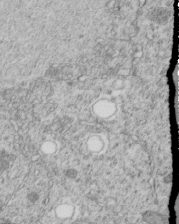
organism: C. elegans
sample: C. elegans embryo early stage